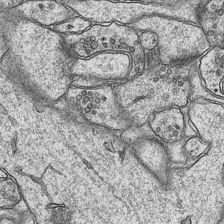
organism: Mouse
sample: CA1 Hippocampus